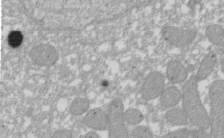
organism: Xenopus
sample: Cilia; centrioles in frog embryo cells